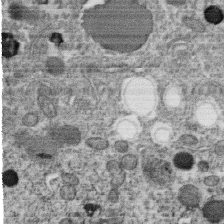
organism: C. elegans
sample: C. elegans oocyte; sperm cells